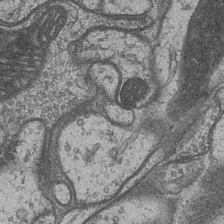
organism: Drosophila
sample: Optic medulla